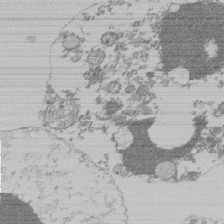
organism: Mouse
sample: Activated Pmel transgenic CD8+ T Cells